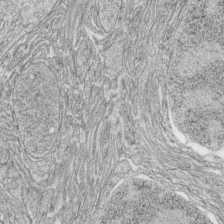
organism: Zebrafish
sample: synaptic ribbons in rod cells and cone cells